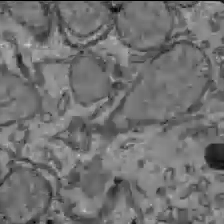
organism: C57BL Mouse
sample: Liver